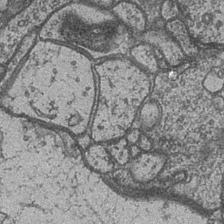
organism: Drosophila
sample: Optic medulla